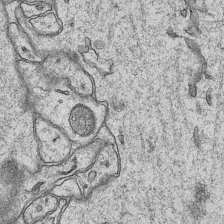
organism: Mouse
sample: CA1 Hippocampus